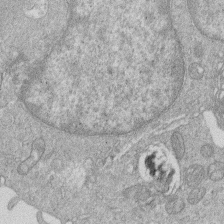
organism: Human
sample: Macrophage cells